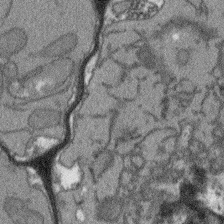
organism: Arabidopsis thaliana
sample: Root tip